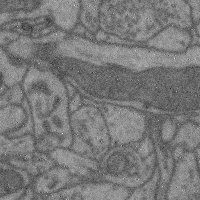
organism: Mouse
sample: Cerebral cortex